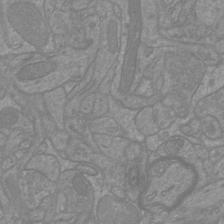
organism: Mouse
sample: Cortical neurons